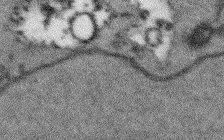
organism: Arabidopsis thaliana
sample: Root tip